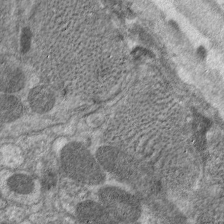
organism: C. elegans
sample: Pharynx